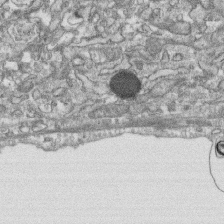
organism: Human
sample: CRL-1474